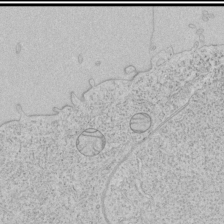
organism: Human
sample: Mitochondria in HCT116 cells